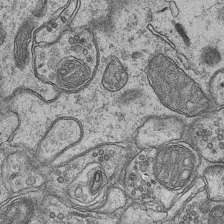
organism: Mouse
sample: CA1 Hippocampus